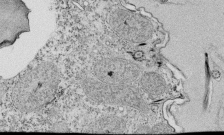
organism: Tetrahymena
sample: Cilia in tetrahymena